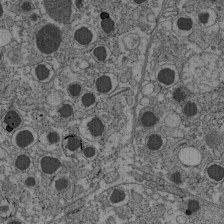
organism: C57BL Mouse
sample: Pancreatic islet